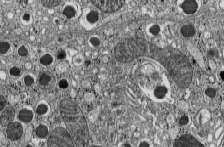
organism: C57BL Mouse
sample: Pancreatic islet